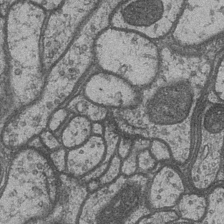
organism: Drosophila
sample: Optic medulla